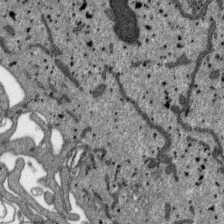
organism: Human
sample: Lung epithelial cells, uninfected (mock) control